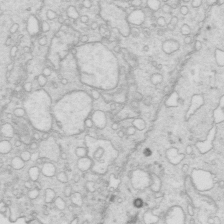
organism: Mouse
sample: Multiciliated cells